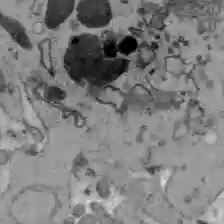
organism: C57BL Mouse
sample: Liver